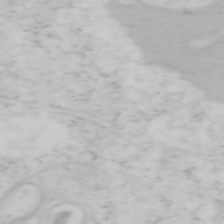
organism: Mouse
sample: OT-I killer T cells with ID8 ovarian cancer cells